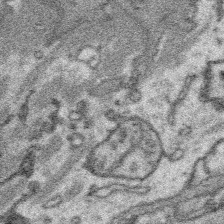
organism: Platynereis dumerilii